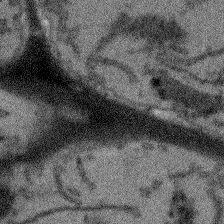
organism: Arabidopsis thaliana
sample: Root tip